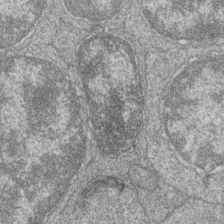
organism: Zebrafish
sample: Cilia; retinal pigment epithelium